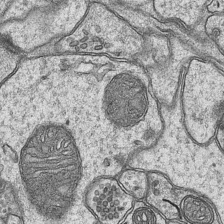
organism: Mouse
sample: CA1 Hippocampus